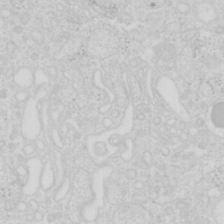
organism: Mouse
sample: Pancreas